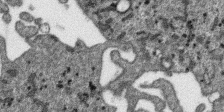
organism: Human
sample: Lung epithelial cells infected with SARS-CoV-2